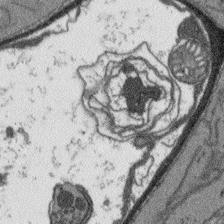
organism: Arabidopsis thaliana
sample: Root tip